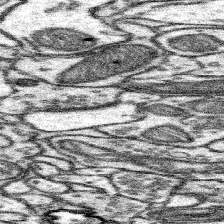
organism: Mouse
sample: Somatosensory cortex neuropil